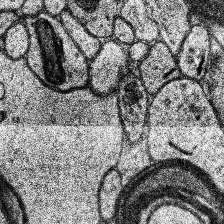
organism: Human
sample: Temporal Lobe